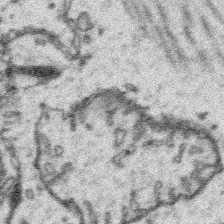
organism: Platynereis dumerilii